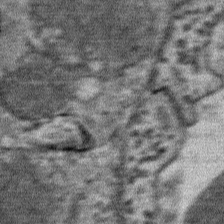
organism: Mouse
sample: Mouse Salivary gland